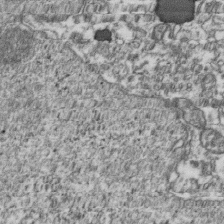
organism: Human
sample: Activated Jurkat CD4+ T cells